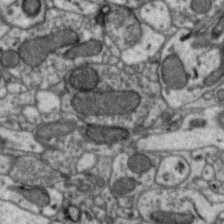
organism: Zebra finch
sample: Brain